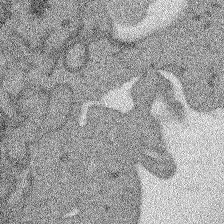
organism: Human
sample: HeLa cells